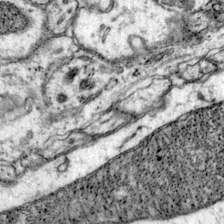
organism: Mouse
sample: Primary visual cortex